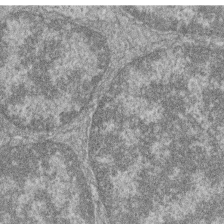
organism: Zebrafish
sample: Cilia; retinal pigment epithelium